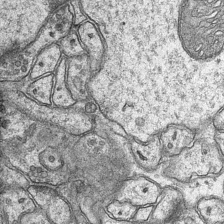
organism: Mouse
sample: CA1 Hippocampus